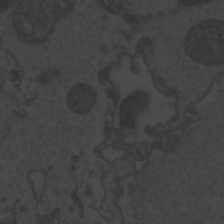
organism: Zebrafish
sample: Macrophage infected with Toxoplasma gondii